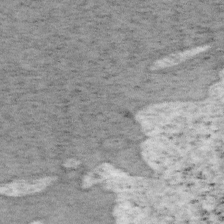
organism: Mouse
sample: OT-I killer T cells with ID8 ovarian cancer cells